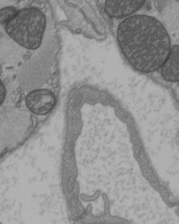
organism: C57BL Mouse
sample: Heart